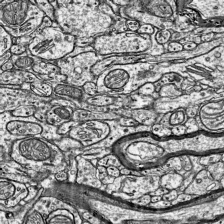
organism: Mouse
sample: Visual Cortex